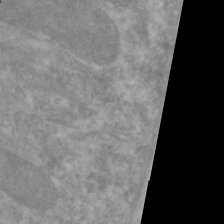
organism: C. elegans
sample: Pharynx